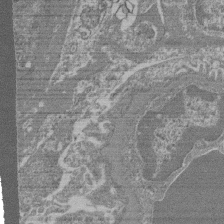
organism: Mouse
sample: Glomerulus